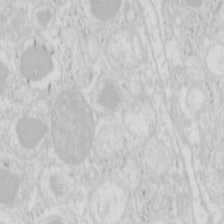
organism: Mouse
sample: Pancreas